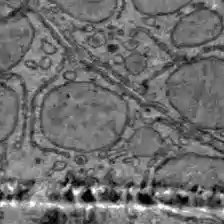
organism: C57BL Mouse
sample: Liver